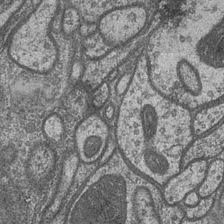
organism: Drosophila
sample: Optic medulla